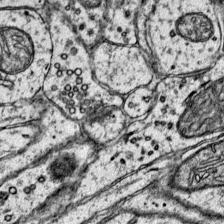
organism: Mouse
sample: Primary visual cortex